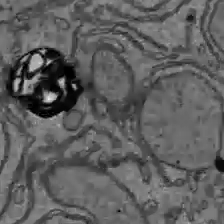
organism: C57BL Mouse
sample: Liver